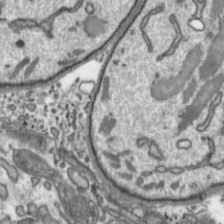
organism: Toxoplasma gondii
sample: Parasites in a vacuole inside a host cell